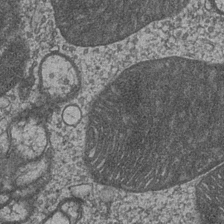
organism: Drosophila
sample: Optic medulla